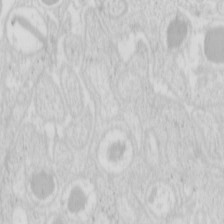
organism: Mouse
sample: Pancreas